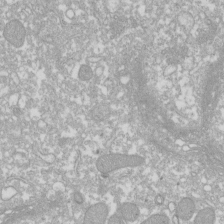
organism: Xenopus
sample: Cilia; centrioles in frog embryo cells